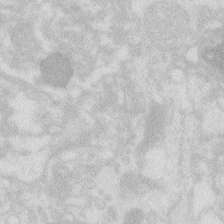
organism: Zebrafish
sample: Macrophage